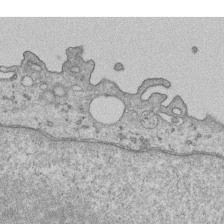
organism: Human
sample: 1205lu cells